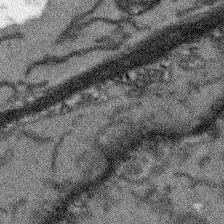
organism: Arabidopsis thaliana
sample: Root tip